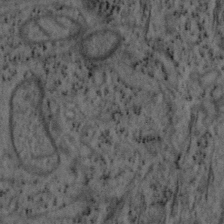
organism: Human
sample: HeLa cells